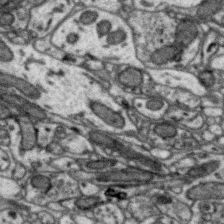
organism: Zebra finch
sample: Brain